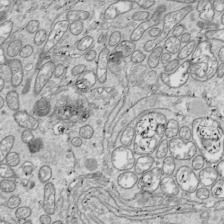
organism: Drosophila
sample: Cell division; meiosis; drosophila spermatocytes